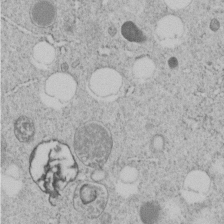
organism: C. elegans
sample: C. elegans embryo early stage